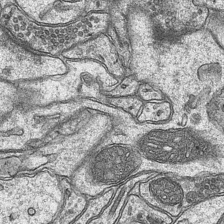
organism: Mouse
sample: CA1 Hippocampus